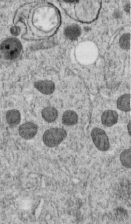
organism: C. elegans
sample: C. elegans embryo early stage